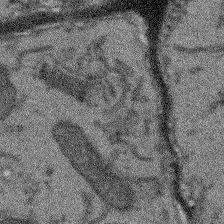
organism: Arabidopsis thaliana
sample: Root tip